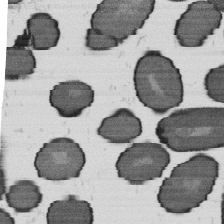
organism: B. subtilis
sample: Bacterial spore